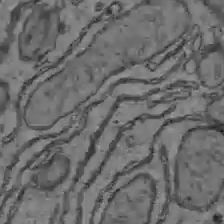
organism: C57BL Mouse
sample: Liver